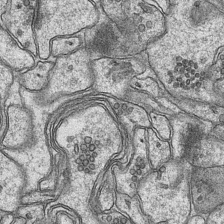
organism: Mouse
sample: CA1 Hippocampus